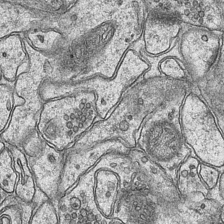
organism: Mouse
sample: CA1 Hippocampus